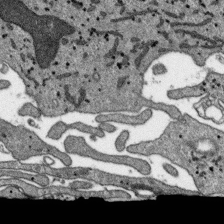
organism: Human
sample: Lung epithelial cells, uninfected (mock) control